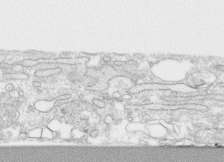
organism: Human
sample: CRL-1474